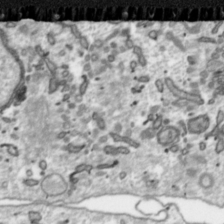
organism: Toxoplasma gondii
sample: Parasites in a vacuole inside a host cell